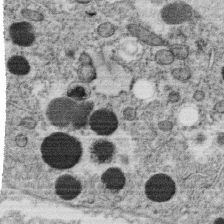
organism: C. elegans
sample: C. elegans oocyte; sperm cells